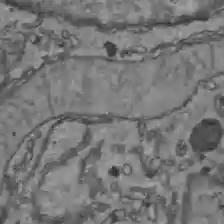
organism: C57BL Mouse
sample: Liver